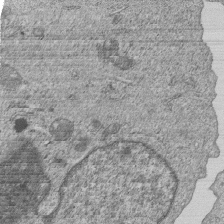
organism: Human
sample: MDA-MB-231 cells